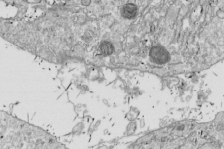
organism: Drosophila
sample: Cell division; meiosis; drosophila spermatocytes